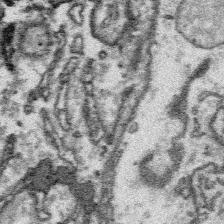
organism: Platynereis dumerilii